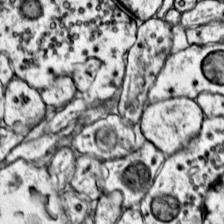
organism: Mouse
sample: Primary visual cortex